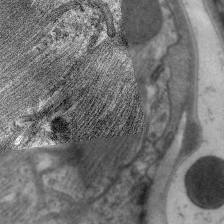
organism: C. elegans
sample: Pharynx